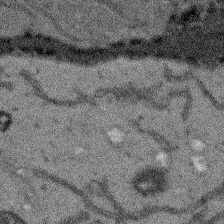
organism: Arabidopsis thaliana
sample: Root tip